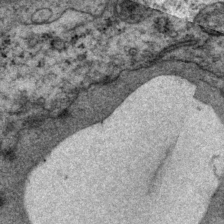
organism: P. pacificus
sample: Pharynx